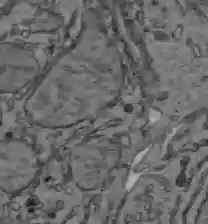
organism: C57BL Mouse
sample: Liver